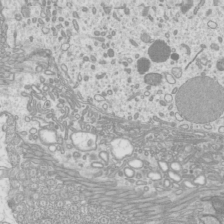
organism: Mouse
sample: Cilia; mouse epididymis